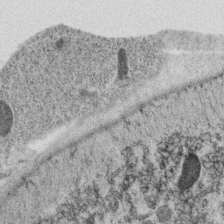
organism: C. elegans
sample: C. elegans oocyte; sperm cells